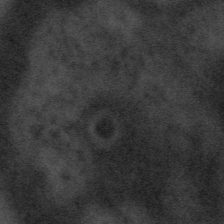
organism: Tuwongella immobilis